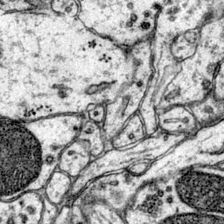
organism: Mouse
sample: Primary visual cortex